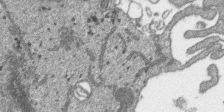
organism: Human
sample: Lung epithelial cells infected with SARS-CoV-2